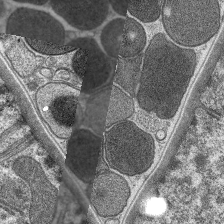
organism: C. elegans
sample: Pharynx